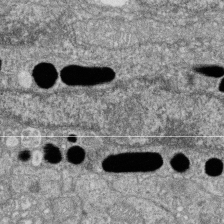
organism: Zebrafish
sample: Cilia; retinal pigment epithelium